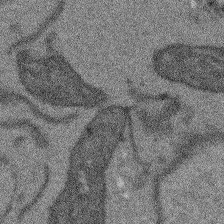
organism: Arabidopsis thaliana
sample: Root tip